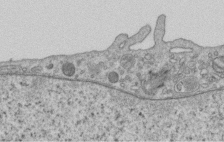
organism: Human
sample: Centriole in RPE cells